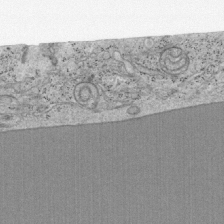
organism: Human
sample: HeLa cells